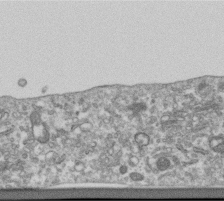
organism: Human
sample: Centriole in RPE cells